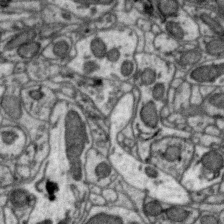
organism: Zebra finch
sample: Brain